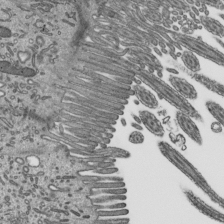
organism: Mouse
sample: Mouse epididymis efferent ductule cilia